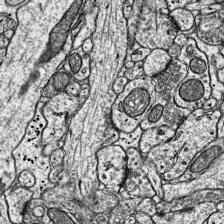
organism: Mouse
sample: Visual Cortex